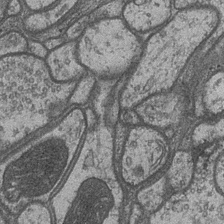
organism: Drosophila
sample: Optic medulla